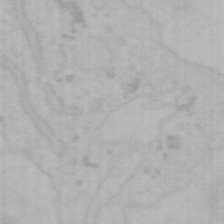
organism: Mouse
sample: Choroid plexus